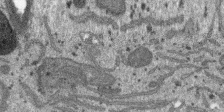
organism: Human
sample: Lung epithelial cells infected with SARS-CoV-2